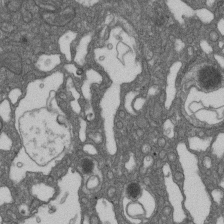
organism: Drosophila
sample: Nephrocyte